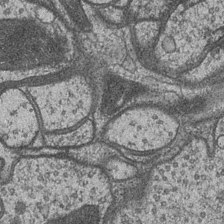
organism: Drosophila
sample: Optic medulla